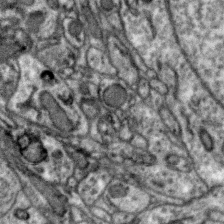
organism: Zebra finch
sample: Brain